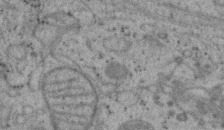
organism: Human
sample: HeLa cells